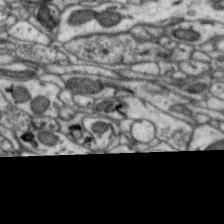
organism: Zebra finch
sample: Brain